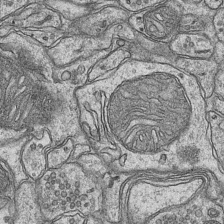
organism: Mouse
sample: CA1 Hippocampus